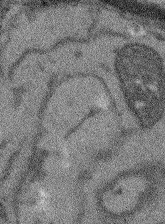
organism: Arabidopsis thaliana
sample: Root tip